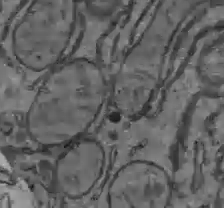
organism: C57BL Mouse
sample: Liver